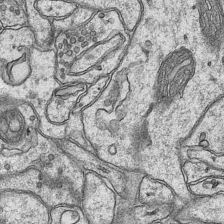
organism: Mouse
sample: CA1 Hippocampus